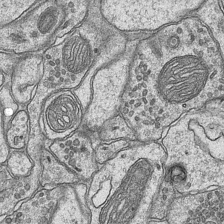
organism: Mouse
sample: CA1 Hippocampus